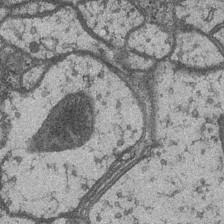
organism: Drosophila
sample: Optic medulla